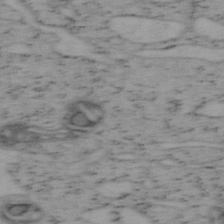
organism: Mouse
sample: OT-I killer T cells with ID8 ovarian cancer cells